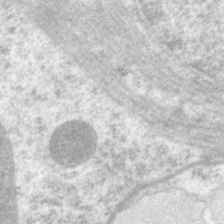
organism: P. pacificus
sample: Pharynx